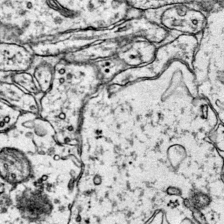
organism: Mouse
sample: Primary visual cortex